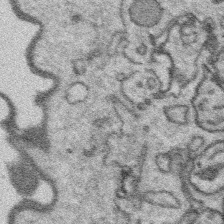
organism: Platynereis dumerilii